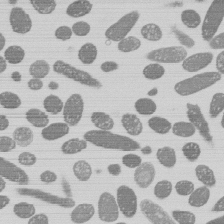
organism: E. coli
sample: Bacterial nucleoid